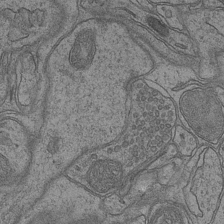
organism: Mouse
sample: CA1 Hippocampus